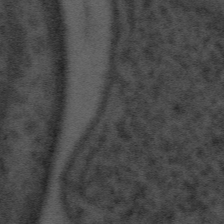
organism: Tuwongella immobilis